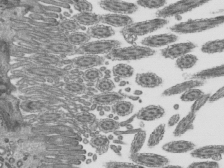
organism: Mouse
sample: Mouse epididymis efferent ductule cilia